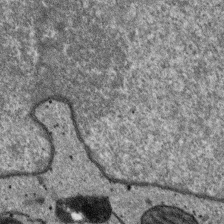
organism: Human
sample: Lung epithelial cells, uninfected (mock) control